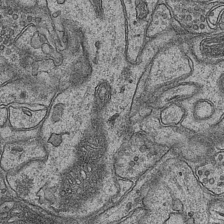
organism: Mouse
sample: CA1 Hippocampus